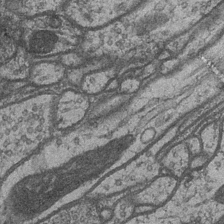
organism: Drosophila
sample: Optic medulla